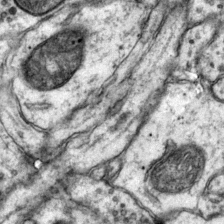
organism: Mouse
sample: Primary visual cortex